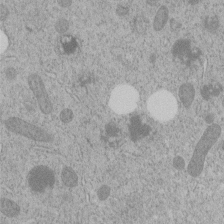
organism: C. elegans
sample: C. elegans embryo early stage